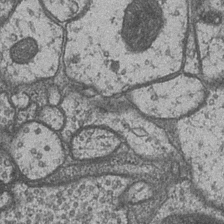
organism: Drosophila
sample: Optic medulla